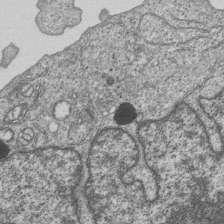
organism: Human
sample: MDA-MB-231 cells